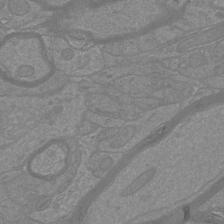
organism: Mouse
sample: Cortical neurons